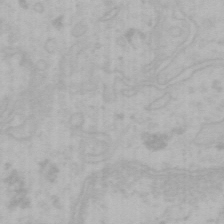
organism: Mouse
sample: Choroid plexus